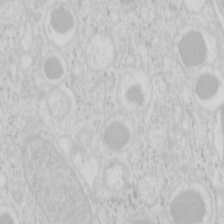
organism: Mouse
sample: Pancreas